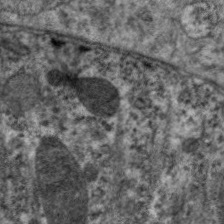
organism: C. elegans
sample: Pharynx